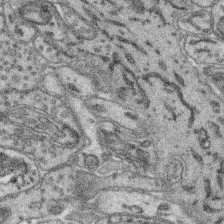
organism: Mouse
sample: Retina